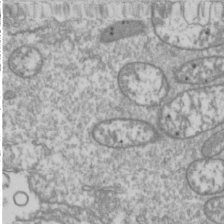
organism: Drosophila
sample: Cell division; meiosis; drosophila spermatocytes